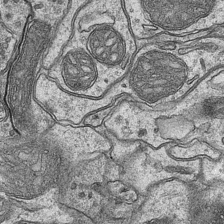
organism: Mouse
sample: CA1 Hippocampus